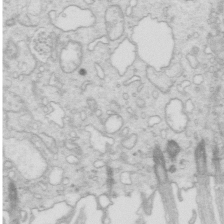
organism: Mouse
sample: Multiciliated cells